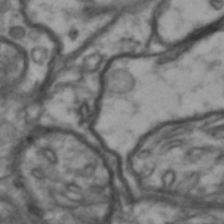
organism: Drosophila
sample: Brain